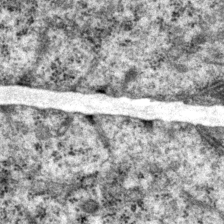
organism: P. pacificus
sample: Pharynx